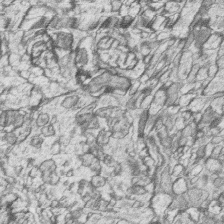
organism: Zebrafish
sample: synaptic ribbons in rod cells and cone cells